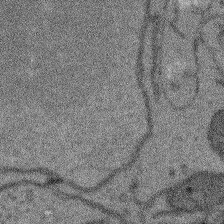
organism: Arabidopsis thaliana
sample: Root tip